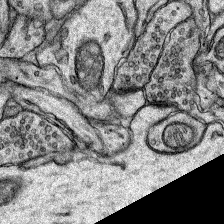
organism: Rat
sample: Hippocampus